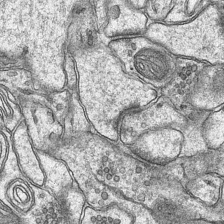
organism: Mouse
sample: CA1 Hippocampus